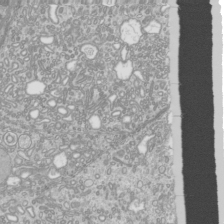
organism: Mouse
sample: Cilia; mouse epididymis